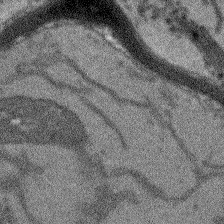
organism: Arabidopsis thaliana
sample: Root tip